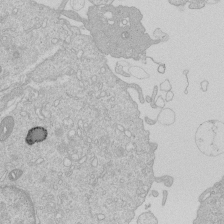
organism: Human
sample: Macrophage cells